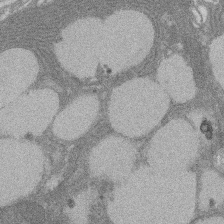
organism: Rat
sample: Salivary granule